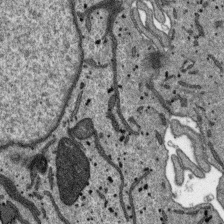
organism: Human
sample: Lung epithelial cells, uninfected (mock) control